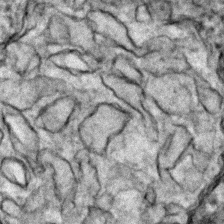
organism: Zebrafish